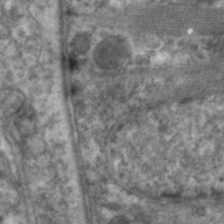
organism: C. elegans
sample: Pharynx